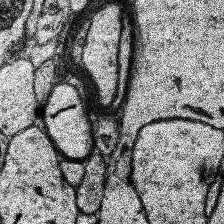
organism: Human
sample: Temporal Lobe